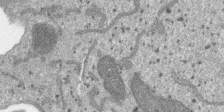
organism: Human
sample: Lung epithelial cells infected with SARS-CoV-2